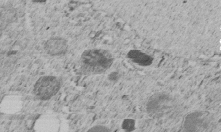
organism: C. elegans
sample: C. elegans embryo early stage